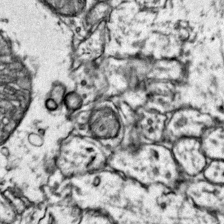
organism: Mouse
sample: Primary visual cortex